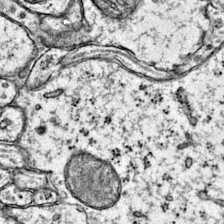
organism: Mouse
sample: Primary visual cortex